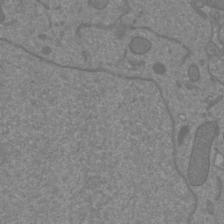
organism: Mouse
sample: Cortical neurons